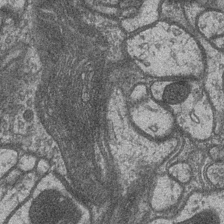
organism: Drosophila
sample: Optic medulla